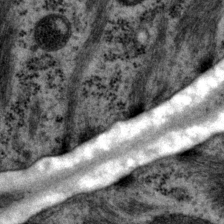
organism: P. pacificus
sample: Pharynx